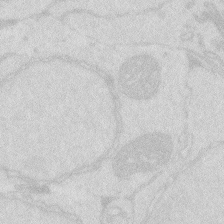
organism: Zebrafish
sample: Macrophage